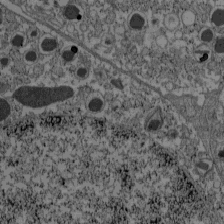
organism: C57BL Mouse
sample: Pancreatic islet